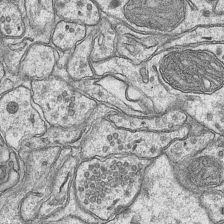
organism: Mouse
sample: CA1 Hippocampus